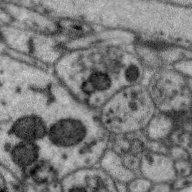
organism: Zebra finch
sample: Brain